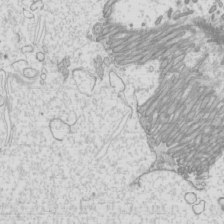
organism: Mouse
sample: Cilia; mouse epididymis